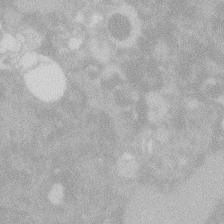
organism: Zebrafish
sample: Macrophage